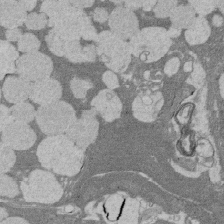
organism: Rat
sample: Salivary granule